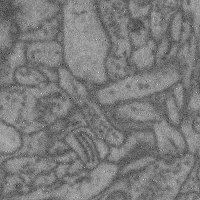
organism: Mouse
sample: Cerebral cortex